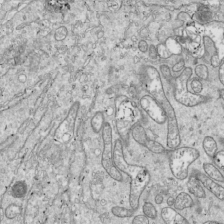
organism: Drosophila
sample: Cell division; meiosis; drosophila spermatocytes